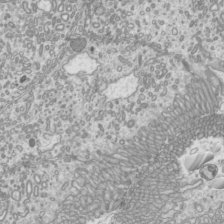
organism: Mouse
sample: Cilia; mouse epididymis